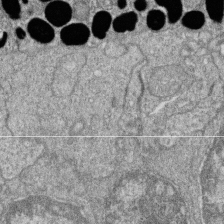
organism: Zebrafish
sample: Cilia; retinal pigment epithelium